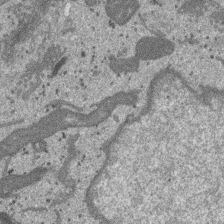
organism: Human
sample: Lung epithelial cells infected with SARS-CoV-2